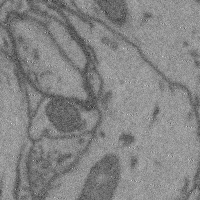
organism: Mouse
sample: Cerebral cortex